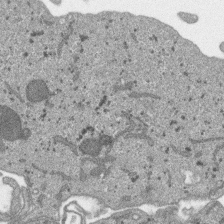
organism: Human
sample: Lung epithelial cells infected with SARS-CoV-2